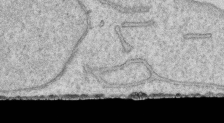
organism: Human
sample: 1205lu cells